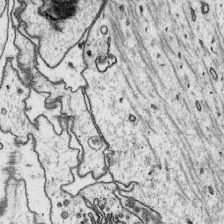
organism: Platynereis dumerilii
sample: Parapodia